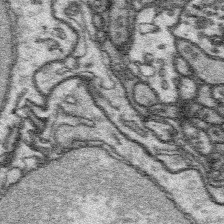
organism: Platynereis dumerilii